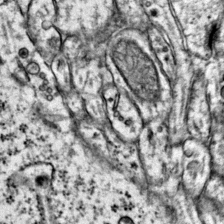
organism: Mouse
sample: Primary visual cortex